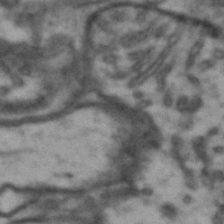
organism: Drosophila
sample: Brain